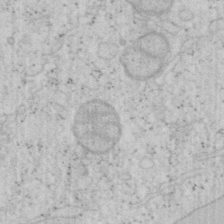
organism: Human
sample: HeLa cells